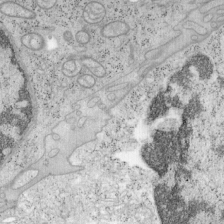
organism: Mouse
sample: OT-I killer T cells with ID8 ovarian cancer cells